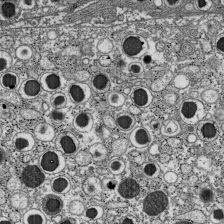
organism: C57BL Mouse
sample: Pancreatic islet